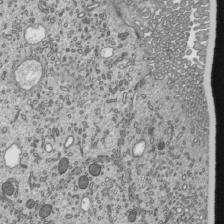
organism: Mouse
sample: Mouse epididymis efferent ductule cilia